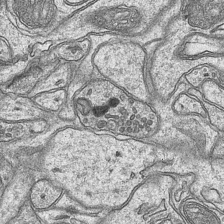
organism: Mouse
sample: CA1 Hippocampus